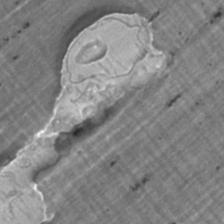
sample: Trachea